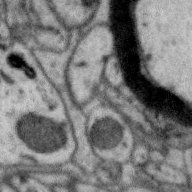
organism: Zebra finch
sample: Brain